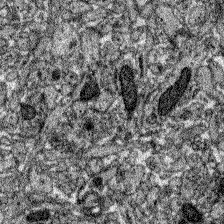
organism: Zebrafish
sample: Larval olfactory bulb